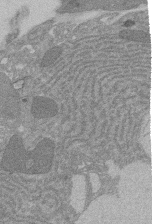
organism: Rat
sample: Salivary granule